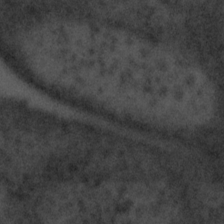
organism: Tuwongella immobilis